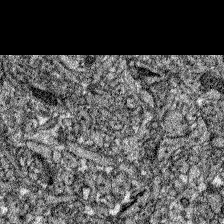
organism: Zebrafish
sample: Larval olfactory bulb